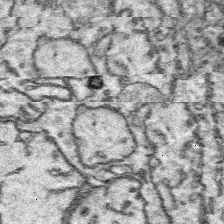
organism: Platynereis dumerilii